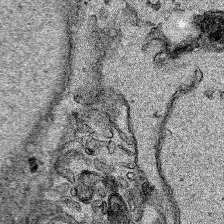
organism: Human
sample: Mitochondria in HCT116 cells